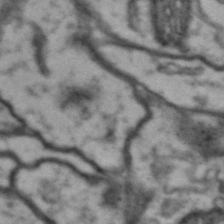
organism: Drosophila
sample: Brain